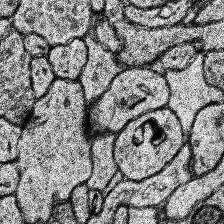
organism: Human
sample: Temporal Lobe